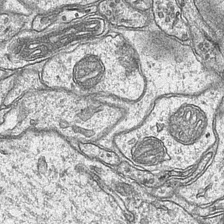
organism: Mouse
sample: CA1 Hippocampus